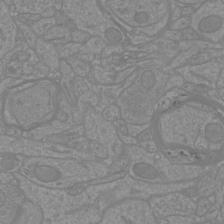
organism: Mouse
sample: Cortical neurons